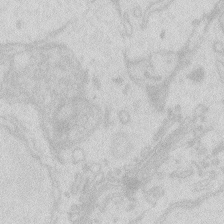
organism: Zebrafish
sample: Macrophage